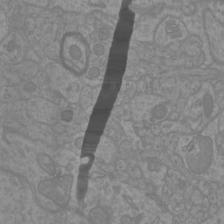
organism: Mouse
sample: Cortical neurons